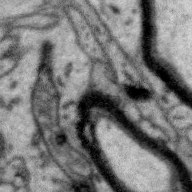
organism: Zebra finch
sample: Brain